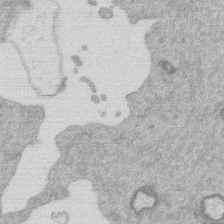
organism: Mouse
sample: Dividing mouse embryo 1 cell stage